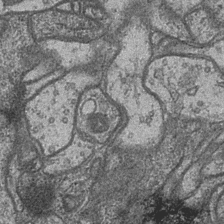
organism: Drosophila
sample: Optic medulla